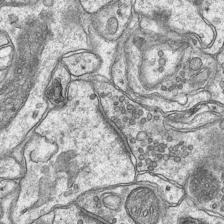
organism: Mouse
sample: CA1 Hippocampus